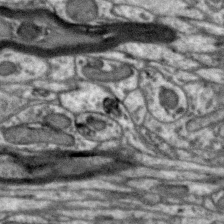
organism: Zebra finch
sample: Brain